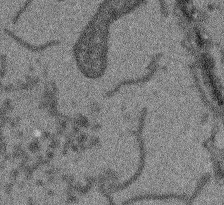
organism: Arabidopsis thaliana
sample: Root tip